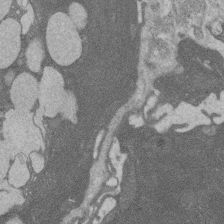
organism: Rat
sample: Salivary granule